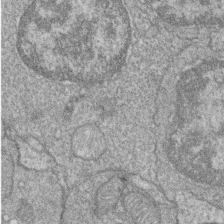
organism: Zebrafish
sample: Cilia; retinal pigment epithelium